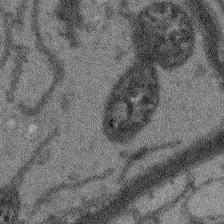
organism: Arabidopsis thaliana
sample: Root tip